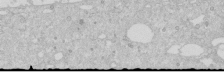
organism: Human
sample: Caco-2 cells